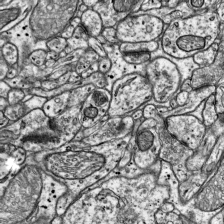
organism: Mouse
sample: Visual Cortex